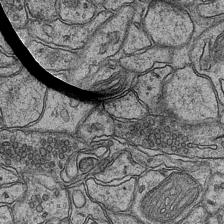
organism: Mouse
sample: CA1 Hippocampus